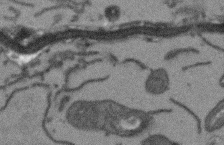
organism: Arabidopsis thaliana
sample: Root tip